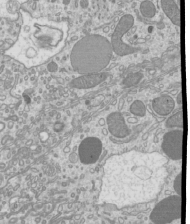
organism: Mouse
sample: Cilia; mouse epididymis